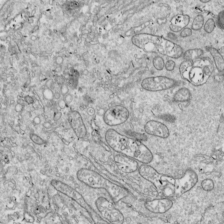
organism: Drosophila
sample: Cell division; meiosis; drosophila spermatocytes